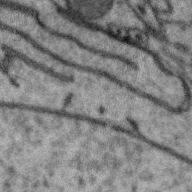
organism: Zebra finch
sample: Brain